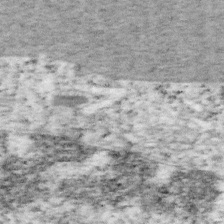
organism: Mouse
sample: OT-I killer T cells with ID8 ovarian cancer cells